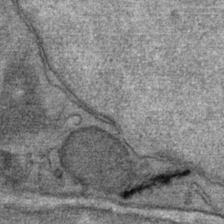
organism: Mouse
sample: Mouse Salivary gland